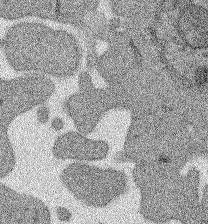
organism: Human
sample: HeLa cells